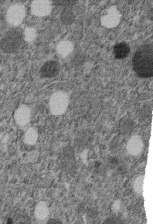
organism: C. elegans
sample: C. elegans embryo early stage